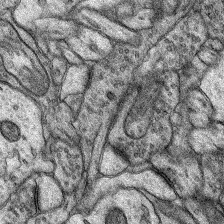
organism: Rat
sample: Hippocampus